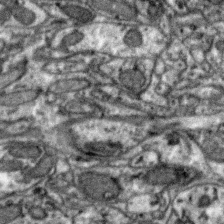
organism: Zebra finch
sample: Brain